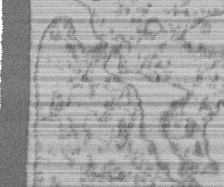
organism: Mouse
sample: T cell stromal cell synapse